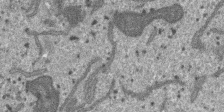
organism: Human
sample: Lung epithelial cells infected with SARS-CoV-2